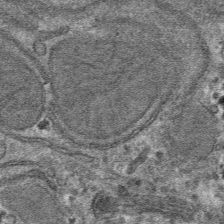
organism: Mouse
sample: Mouse hepatocytes